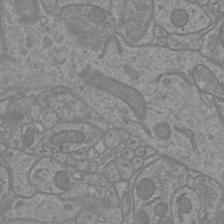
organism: Mouse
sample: Cortical neurons